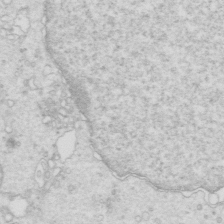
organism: Mouse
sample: Multiciliated cells